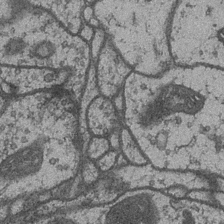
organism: Drosophila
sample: Optic medulla